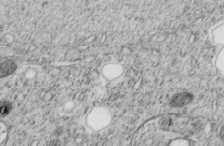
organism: C. elegans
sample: C. elegans embryo early stage